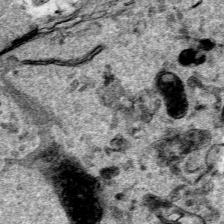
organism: Human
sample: Mitochondria in HCT116 cells